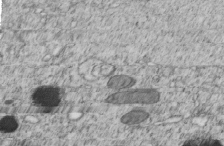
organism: C. elegans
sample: C. elegans embryo early stage